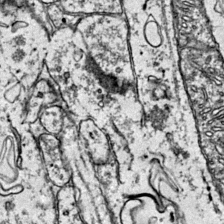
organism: Mouse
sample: Primary visual cortex